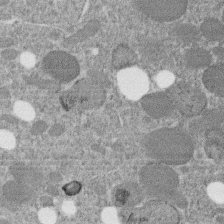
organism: C. elegans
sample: C. elegans embryo early stage